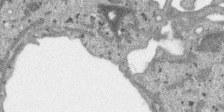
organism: Human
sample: Lung epithelial cells infected with SARS-CoV-2